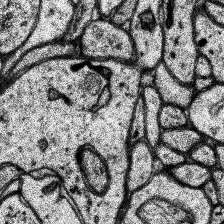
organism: Human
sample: Temporal Lobe